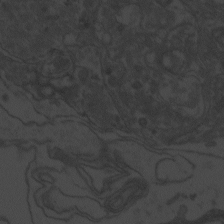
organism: Zebrafish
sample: Macrophage infected with Toxoplasma gondii